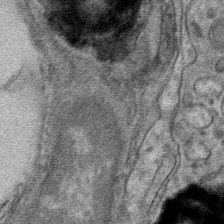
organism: Mouse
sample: Mouse hepatocytes